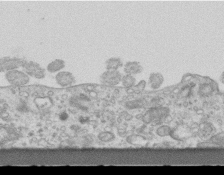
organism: Mouse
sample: Centriole in ependymal cells